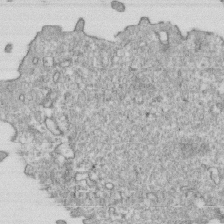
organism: Mouse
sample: Activated OT-1 CD8+ T cells